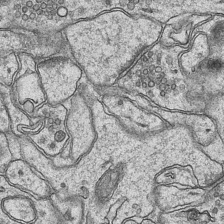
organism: Mouse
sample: CA1 Hippocampus